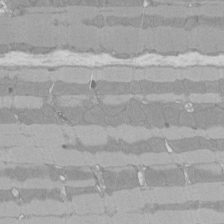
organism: Rat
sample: Left ventricle